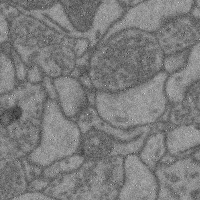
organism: Mouse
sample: Cerebral cortex